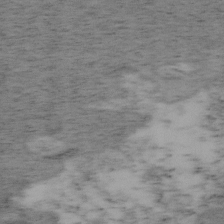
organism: Mouse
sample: OT-I killer T cells with ID8 ovarian cancer cells